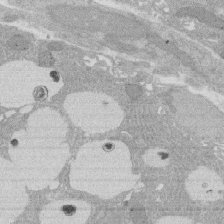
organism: Rat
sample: Salivary granule